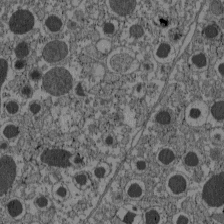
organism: C57BL Mouse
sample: Pancreatic islet